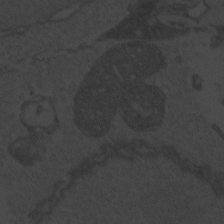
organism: Zebrafish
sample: Macrophage infected with Toxoplasma gondii